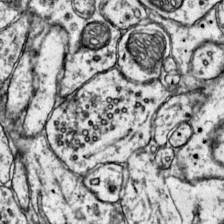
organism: Mouse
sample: Primary visual cortex